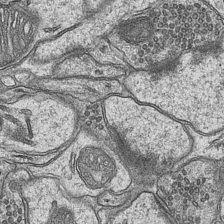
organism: Mouse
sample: CA1 Hippocampus